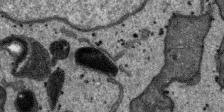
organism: Human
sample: Lung epithelial cells, uninfected (mock) control